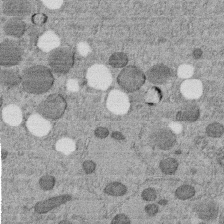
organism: C. elegans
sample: C. elegans embryo early stage